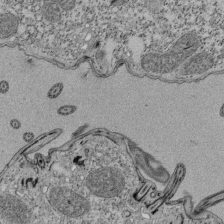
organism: Tetrahymena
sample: Cilia in tetrahymena